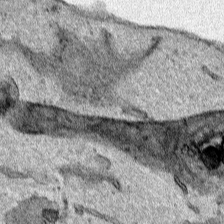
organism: Human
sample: Mitochondria in HCT116 cells